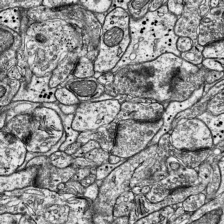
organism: Mouse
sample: Visual Cortex